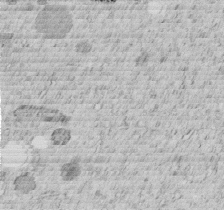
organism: C. elegans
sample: C. elegans embryo early stage